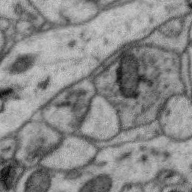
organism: Zebra finch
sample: Brain